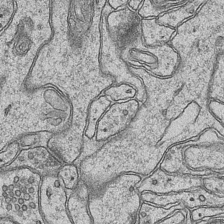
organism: Mouse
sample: CA1 Hippocampus